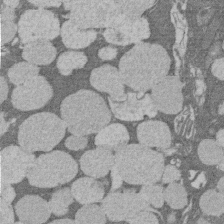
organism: Rat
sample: Salivary granule